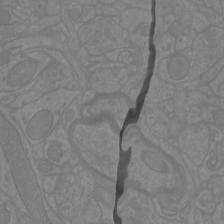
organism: Mouse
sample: Cortical neurons